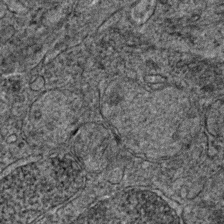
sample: Trachea